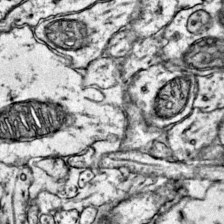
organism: Mouse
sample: Primary visual cortex